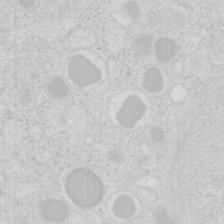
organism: Mouse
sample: Pancreas